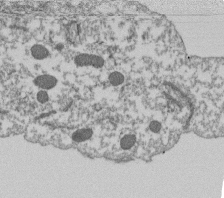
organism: Dictyostelium discoideum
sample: Dictyostelium multivesicular bodies